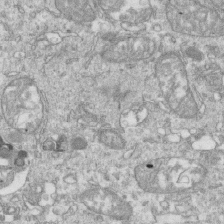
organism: Mouse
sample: Activated OT-1 CD8+ T cells